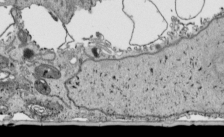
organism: Human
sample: Mitochondria in HCT116 cells